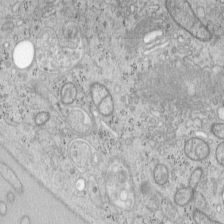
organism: Mouse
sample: OT-I killer T cells with ID8 ovarian cancer cells